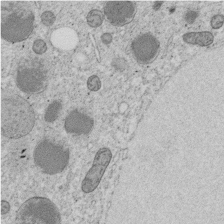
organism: C. elegans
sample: C. elegans embryo early stage